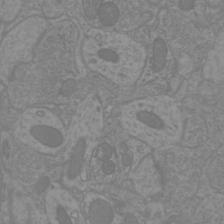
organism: Mouse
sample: Cortical neurons